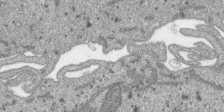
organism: Human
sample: Lung epithelial cells infected with SARS-CoV-2